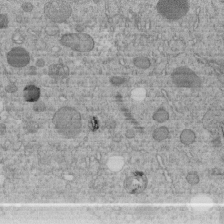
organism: C. elegans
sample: C. elegans embryo early stage